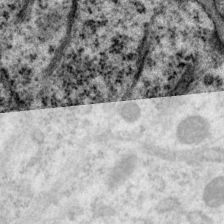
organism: P. pacificus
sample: Pharynx